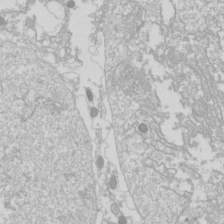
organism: Drosophila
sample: Cell division; meiosis; drosophila spermatocytes